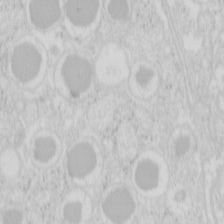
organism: Mouse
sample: Pancreas